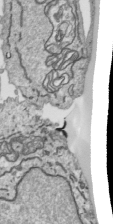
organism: Human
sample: Mitochondria in HCT116 cells